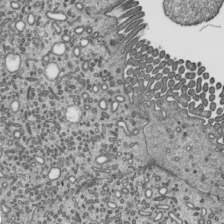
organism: Mouse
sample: Mouse epididymis efferent ductule cilia